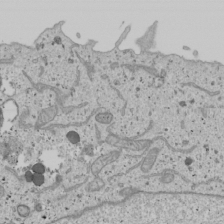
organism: Human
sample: Mitochondria in U2OS cells